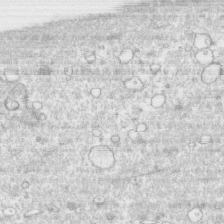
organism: Human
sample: CRL-1474